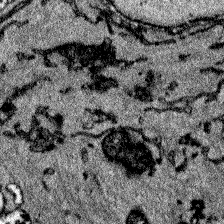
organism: Zebrafish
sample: Larval olfactory bulb